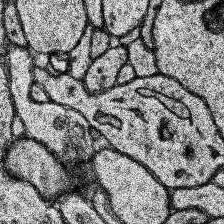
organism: Human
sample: Temporal Lobe